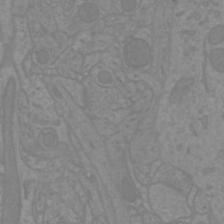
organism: Mouse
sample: Cortical neurons